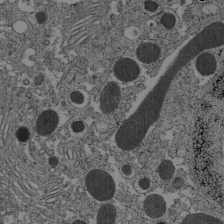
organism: C57BL Mouse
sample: Pancreatic islet